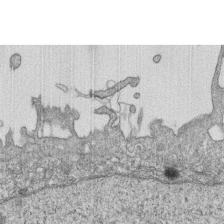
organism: Human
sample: HeLa cell HIV synapse